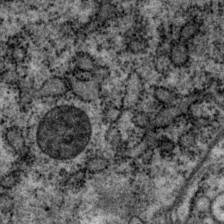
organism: P. pacificus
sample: Pharynx